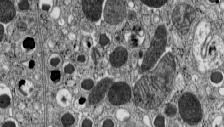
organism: C57BL Mouse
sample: Pancreatic islet